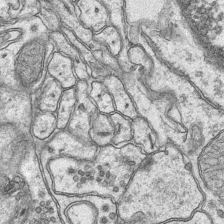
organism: Mouse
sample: CA1 Hippocampus